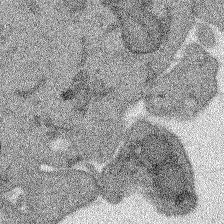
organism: Human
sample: HeLa cells